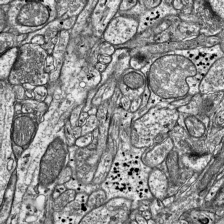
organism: Mouse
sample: Visual Cortex